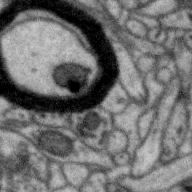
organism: Zebra finch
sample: Brain